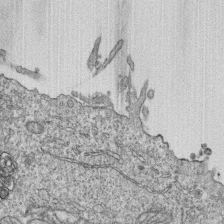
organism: Human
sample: HeLa cell HIV synapse